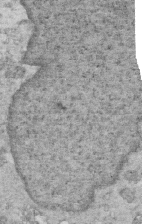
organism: Mouse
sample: Multiciliated cells